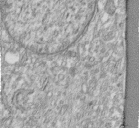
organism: Human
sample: Centriole in fibroblast cells